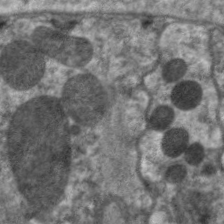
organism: C. elegans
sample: Pharynx